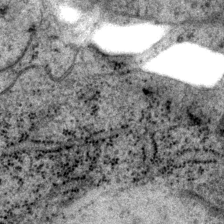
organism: P. pacificus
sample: Pharynx